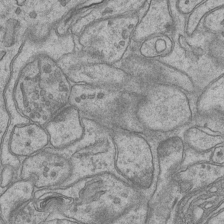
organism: Mouse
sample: CA1 Hippocampus